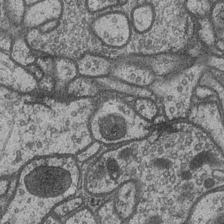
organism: Drosophila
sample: Optic medulla